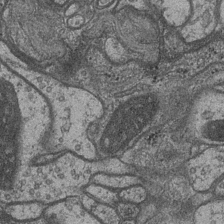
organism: Drosophila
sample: Optic medulla